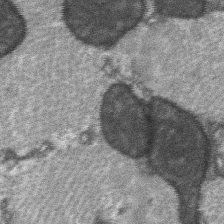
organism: C57BL Mouse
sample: Soleus